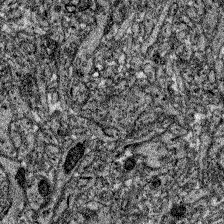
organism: Zebrafish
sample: Larval olfactory bulb